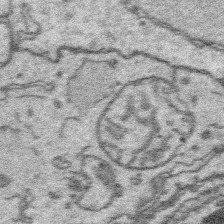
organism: Platynereis dumerilii